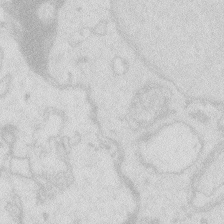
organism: Zebrafish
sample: Macrophage